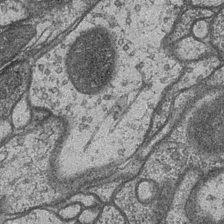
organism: Drosophila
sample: Optic medulla